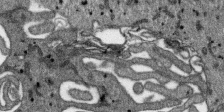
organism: Human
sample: Lung epithelial cells, uninfected (mock) control